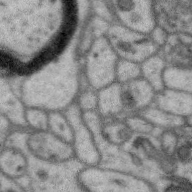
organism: Zebra finch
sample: Brain